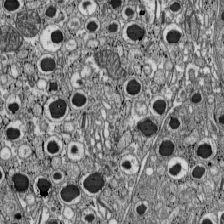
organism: C57BL Mouse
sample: Pancreatic islet